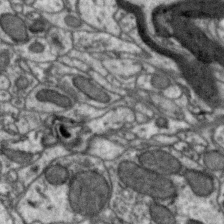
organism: Zebra finch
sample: Brain